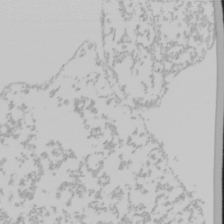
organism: Mouse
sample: Cancer cell death in ED-1 cells